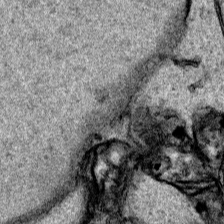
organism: Human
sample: Mitochondria in HCT116 cells